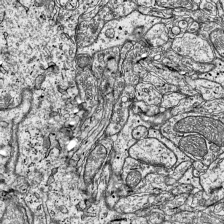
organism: Mouse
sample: Visual Cortex